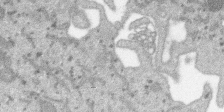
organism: Human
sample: Lung epithelial cells infected with SARS-CoV-2